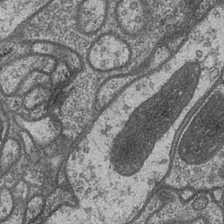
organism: Drosophila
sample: Optic medulla